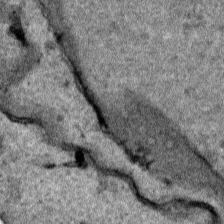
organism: Human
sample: Mitochondria in HCT116 cells